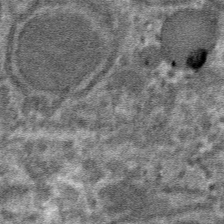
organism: Mouse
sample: Mouse hepatocytes